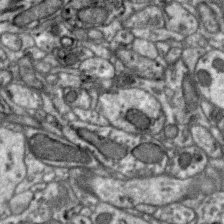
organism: Zebra finch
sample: Brain